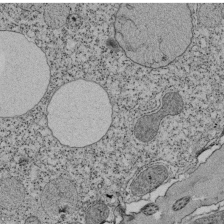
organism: Tetrahymena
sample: Cilia in tetrahymena